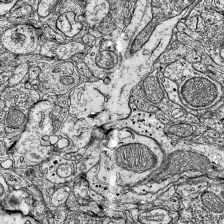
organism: Mouse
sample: Visual Cortex